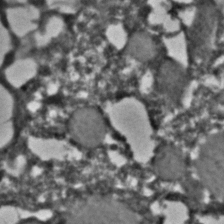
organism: C. elegans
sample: C. elegans embryo